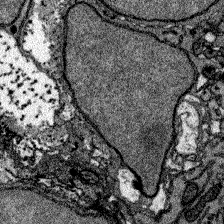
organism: Zebrafish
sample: Larval olfactory bulb